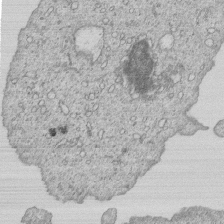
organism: Human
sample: MDA-MB-231 cells